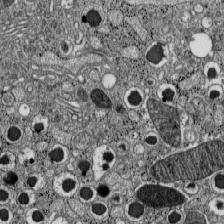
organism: C57BL Mouse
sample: Pancreatic islet